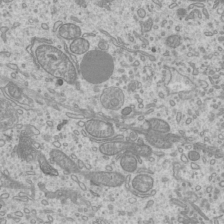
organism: Mouse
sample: Cilia; mouse epididymis